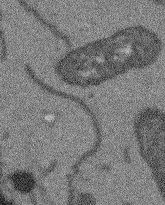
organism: Arabidopsis thaliana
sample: Root tip